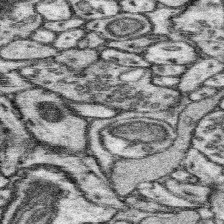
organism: Mouse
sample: Somatosensory cortex neuropil